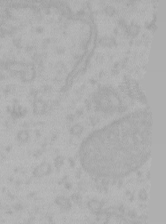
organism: Mouse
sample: Choroid plexus